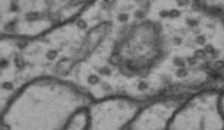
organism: Drosophila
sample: Brain